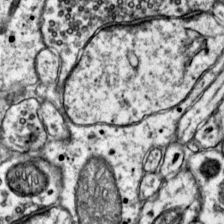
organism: Mouse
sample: Primary visual cortex